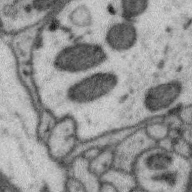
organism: Zebra finch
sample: Brain